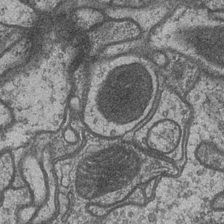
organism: Drosophila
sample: Optic medulla